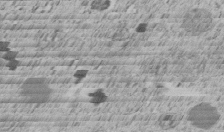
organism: C. elegans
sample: C. elegans embryo early stage